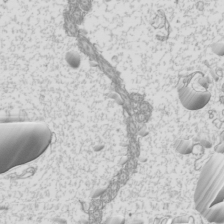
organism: Mouse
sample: Cilia; mouse epididymis